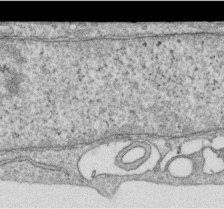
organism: Human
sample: Centriole in RPE cells